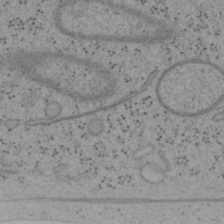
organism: Human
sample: HeLa cells